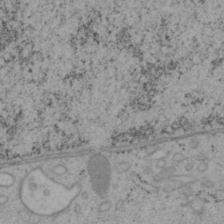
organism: Human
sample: HeLa cells